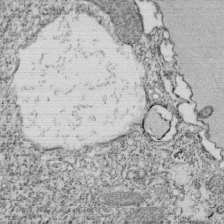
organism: Tetrahymena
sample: Cilia in tetrahymena